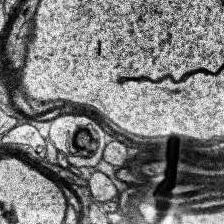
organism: Human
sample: Temporal Lobe